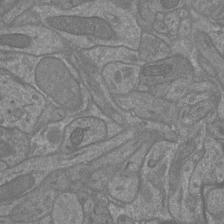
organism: Mouse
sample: Cortical neurons